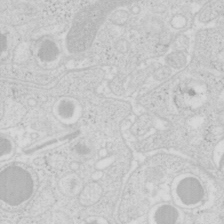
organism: Mouse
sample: Pancreas